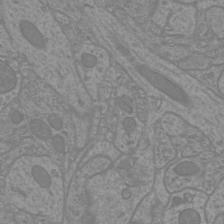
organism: Mouse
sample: Cortical neurons